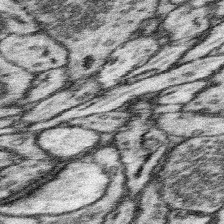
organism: Mouse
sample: Somatosensory cortex neuropil